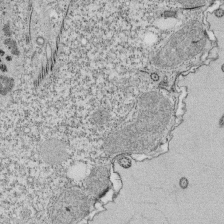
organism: Tetrahymena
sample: Cilia in tetrahymena